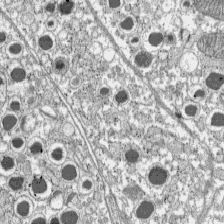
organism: C57BL Mouse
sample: Pancreatic islet